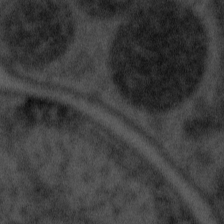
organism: Tuwongella immobilis